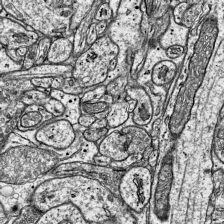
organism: Mouse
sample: Visual Cortex